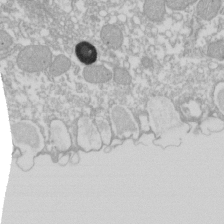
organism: Xenopus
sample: Cilia; centrioles in frog embryo cells